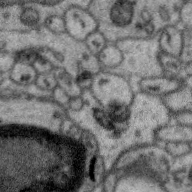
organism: Zebra finch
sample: Brain